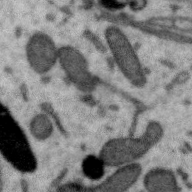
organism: Zebra finch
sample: Brain